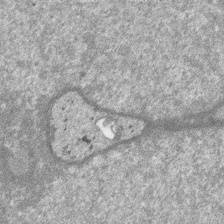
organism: Human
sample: Lung epithelial cells infected with SARS-CoV-2